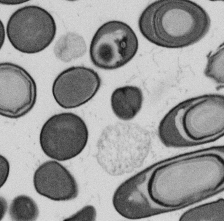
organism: B. subtilis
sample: Bacterial spore